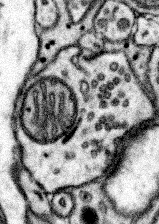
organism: Mouse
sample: Somatosensory cortex neuropil